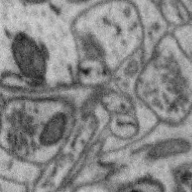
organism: Zebra finch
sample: Brain